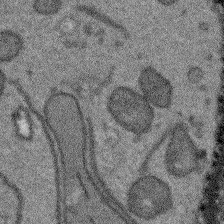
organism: Arabidopsis thaliana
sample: Root tip